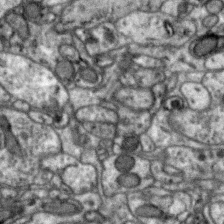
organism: Zebra finch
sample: Brain